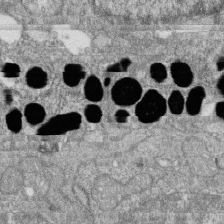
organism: Zebrafish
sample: Cilia; retinal pigment epithelium